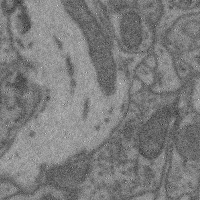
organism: Mouse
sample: Cerebral cortex